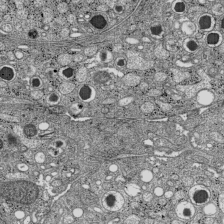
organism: C57BL Mouse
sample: Pancreatic islet